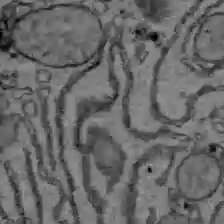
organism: C57BL Mouse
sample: Liver